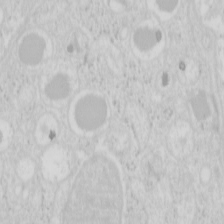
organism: Mouse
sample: Pancreas